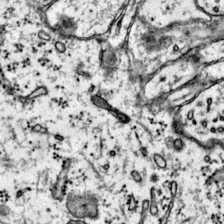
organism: Mouse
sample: Primary visual cortex